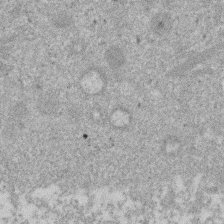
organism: Mouse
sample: Dividing mouse embryo 1 cell stage